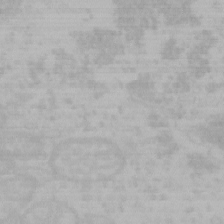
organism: Mouse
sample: Choroid plexus